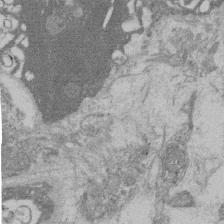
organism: Rat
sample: Salivary granule